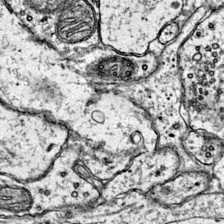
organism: Mouse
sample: Primary visual cortex